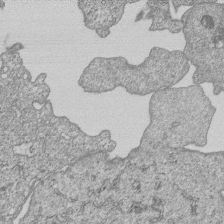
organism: Human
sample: MDA-MB-231 cells